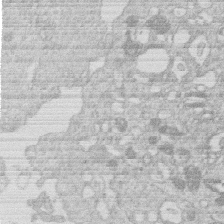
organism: Human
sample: Macrophage cells